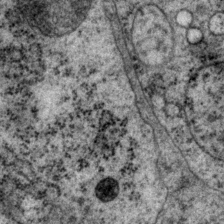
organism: P. pacificus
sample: Pharynx